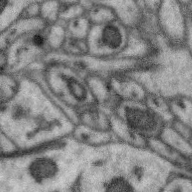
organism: Zebra finch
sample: Brain